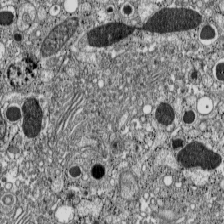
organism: C57BL Mouse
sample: Pancreatic islet